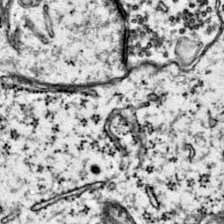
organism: Mouse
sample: Primary visual cortex